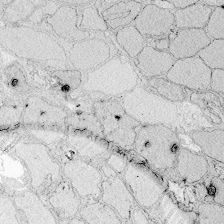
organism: Zebrafish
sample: Whole-Brain